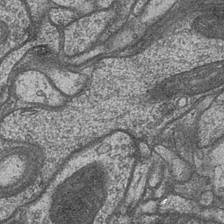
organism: Drosophila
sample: Optic medulla